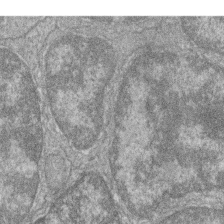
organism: Zebrafish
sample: Cilia; retinal pigment epithelium